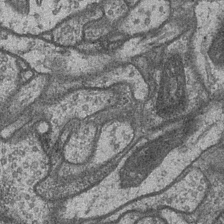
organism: Drosophila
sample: Optic medulla